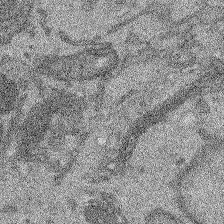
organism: Human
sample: HeLa cells